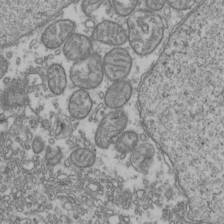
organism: Human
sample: Activated Jurkat CD4+ T cells